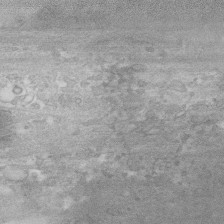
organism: Human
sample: Fibroblast cells